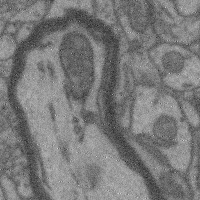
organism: Mouse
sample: Cerebral cortex